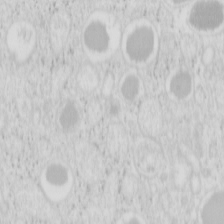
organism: Mouse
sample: Pancreas